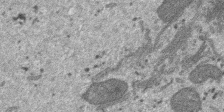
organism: Human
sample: Lung epithelial cells infected with SARS-CoV-2